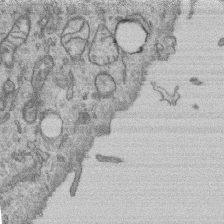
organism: Human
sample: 1205lu cells